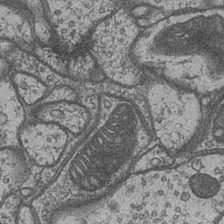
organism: Drosophila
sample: Optic medulla